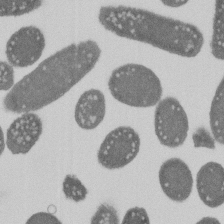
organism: E. coli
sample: Bacterial nucleoid